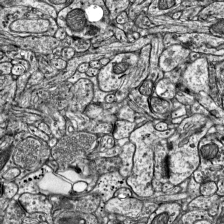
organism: Mouse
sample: Visual Cortex